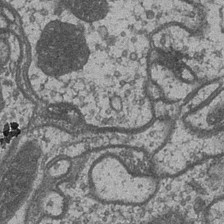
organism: Drosophila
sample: Optic medulla